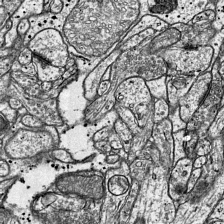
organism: Mouse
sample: Visual Cortex